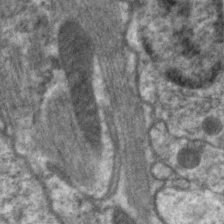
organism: C. elegans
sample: Pharynx